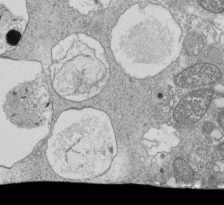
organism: Tetrahymena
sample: Cilia in tetrahymena